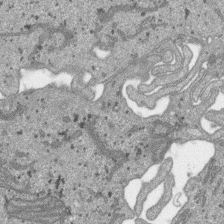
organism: Human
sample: Lung epithelial cells infected with SARS-CoV-2